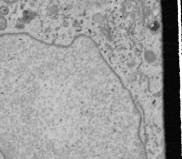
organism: Human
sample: Mitochondria in U2OS cells